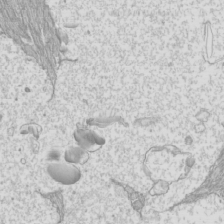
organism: Mouse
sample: Cilia; mouse epididymis